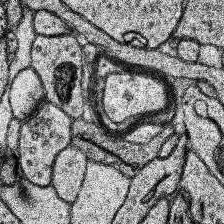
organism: Human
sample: Temporal Lobe